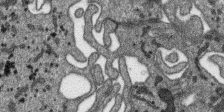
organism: Human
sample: Lung epithelial cells infected with SARS-CoV-2